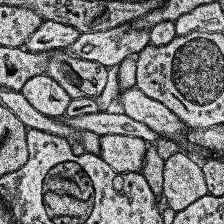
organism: Human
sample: Temporal Lobe